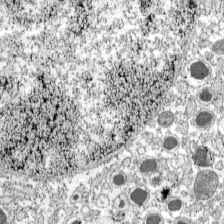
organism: C57BL Mouse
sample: Pancreatic islet